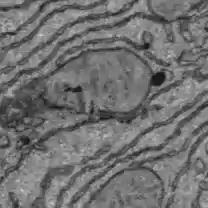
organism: C57BL Mouse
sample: Liver